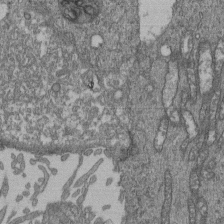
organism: Human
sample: Retinal organoid Rod and Cone cells